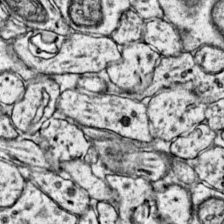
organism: Mouse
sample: Primary visual cortex